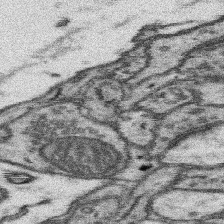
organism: Mouse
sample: Somatosensory cortex neuropil